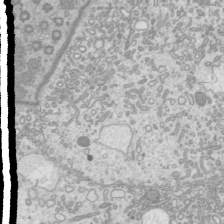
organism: Mouse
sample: Cilia; mouse epididymis